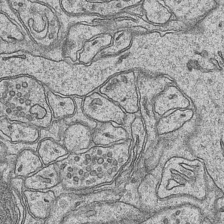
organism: Mouse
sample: CA1 Hippocampus